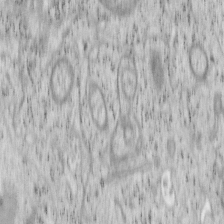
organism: Human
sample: HeLa cells